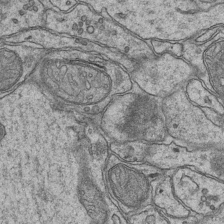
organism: Mouse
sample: CA1 Hippocampus